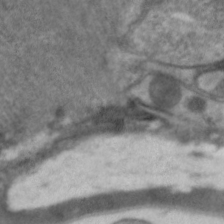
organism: C. elegans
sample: Pharynx